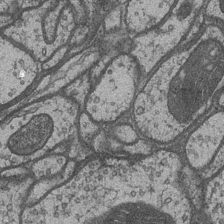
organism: Drosophila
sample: Optic medulla